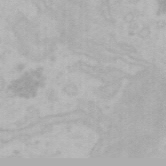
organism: Mouse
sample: Choroid plexus